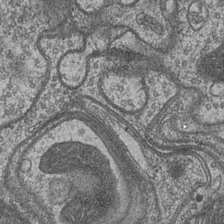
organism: Drosophila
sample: Optic medulla